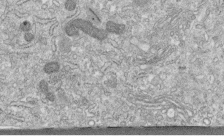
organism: Human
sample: Centriole in fibroblast cells